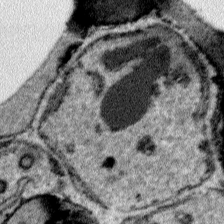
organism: Plasmodium falciparum